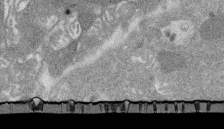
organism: Rat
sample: Salivary granule